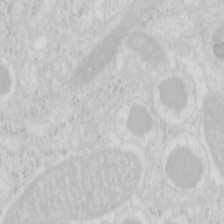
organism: Mouse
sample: Pancreas